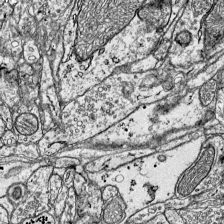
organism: Mouse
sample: Visual Cortex